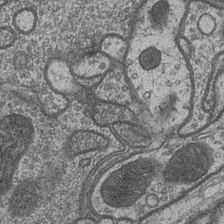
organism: Drosophila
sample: Optic medulla